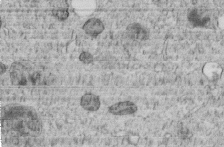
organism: C. elegans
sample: C. elegans embryo early stage